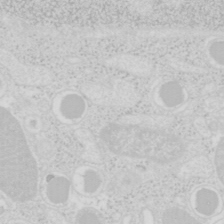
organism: Mouse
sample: Pancreas